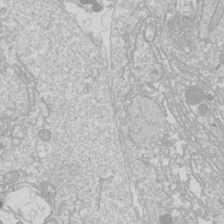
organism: Drosophila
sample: Cell division; meiosis; drosophila spermatocytes